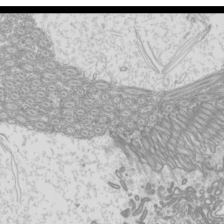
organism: Mouse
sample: Cilia; mouse epididymis